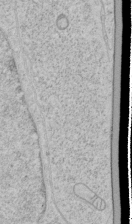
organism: Human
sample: Mitochondria in HCT116 cells